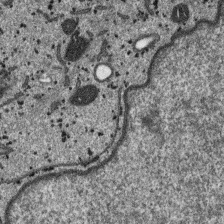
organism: Human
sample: Lung epithelial cells infected with SARS-CoV-2